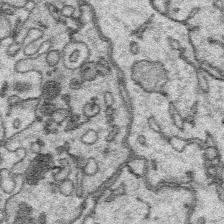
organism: Platynereis dumerilii